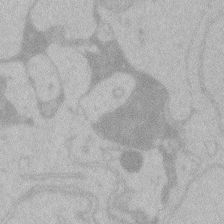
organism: Zebrafish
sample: Macrophage infected with Toxoplasma gondii